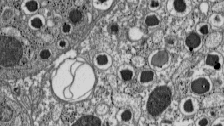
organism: C57BL Mouse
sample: Pancreatic islet